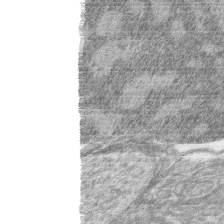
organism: Zebrafish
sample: synaptic ribbons in rod cells and cone cells